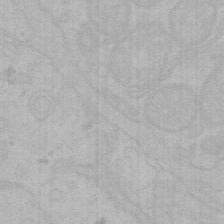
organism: Mouse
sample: Choroid plexus